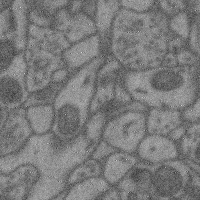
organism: Mouse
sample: Cerebral cortex